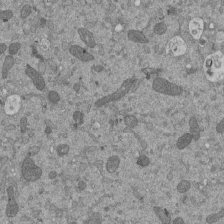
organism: Mouse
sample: ED-1 cell nuclei; centrioles